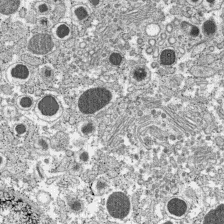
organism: C57BL Mouse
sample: Pancreatic islet